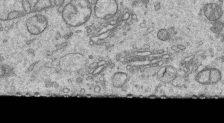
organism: Human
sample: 1205lu cells